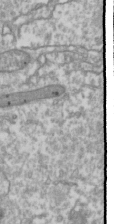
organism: Drosophila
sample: Cell division; meiosis; drosophila spermatocytes